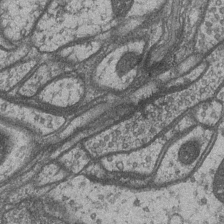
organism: Drosophila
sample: Optic medulla